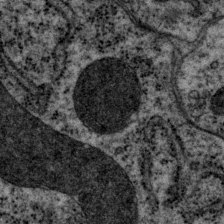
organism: P. pacificus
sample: Pharynx